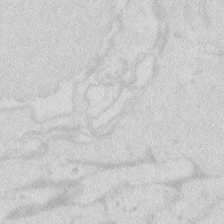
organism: Zebrafish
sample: Macrophage